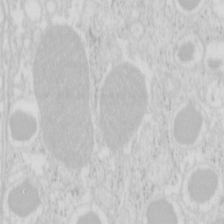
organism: Mouse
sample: Pancreas